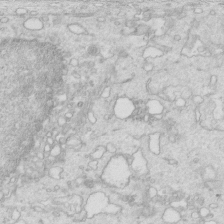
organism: Mouse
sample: Multiciliated cells